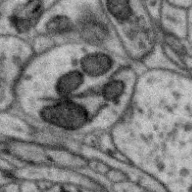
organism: Zebra finch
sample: Brain